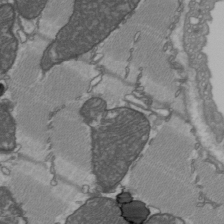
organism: C57BL Mouse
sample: Heart